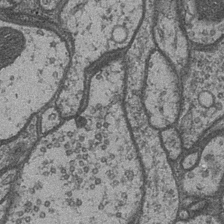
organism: Drosophila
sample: Optic medulla